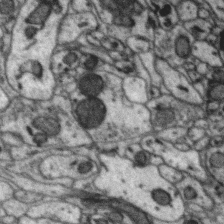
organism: Zebra finch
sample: Brain